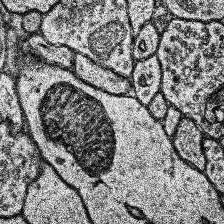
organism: Human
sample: Temporal Lobe